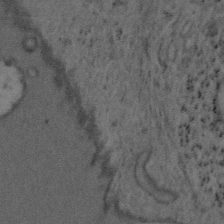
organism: Human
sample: HeLa cells